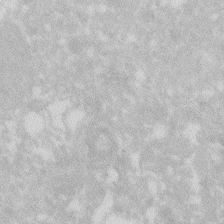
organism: Zebrafish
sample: Macrophage